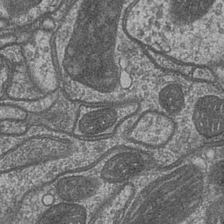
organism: Drosophila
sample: Optic medulla